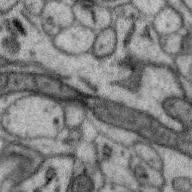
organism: Zebra finch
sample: Brain